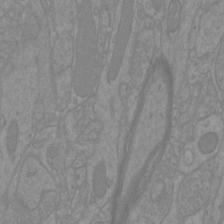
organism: Mouse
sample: Cortical neurons